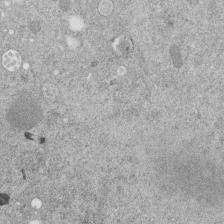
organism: C. elegans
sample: C. elegans embryo early stage